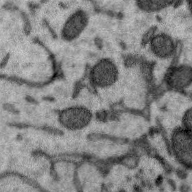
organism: Zebra finch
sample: Brain